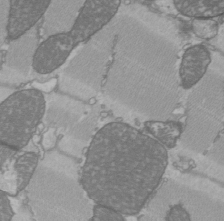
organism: C57BL Mouse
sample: Heart